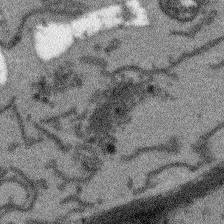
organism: Arabidopsis thaliana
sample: Root tip